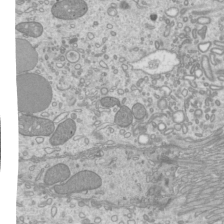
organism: Mouse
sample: Cilia; mouse epididymis